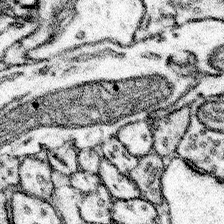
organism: Mouse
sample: Somatosensory cortex neuropil